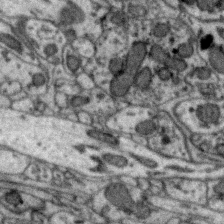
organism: Zebra finch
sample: Brain